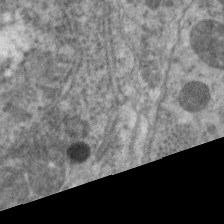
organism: C. elegans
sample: Pharynx